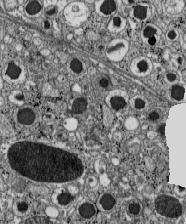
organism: C57BL Mouse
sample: Pancreatic islet